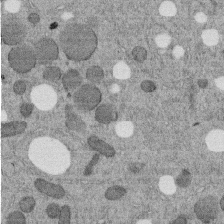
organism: C. elegans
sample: C. elegans embryo early stage